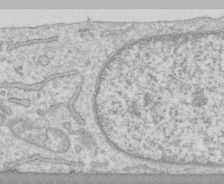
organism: Human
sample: CRL-1474